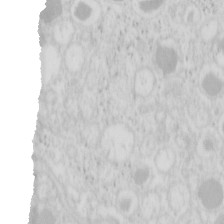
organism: Mouse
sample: Pancreas